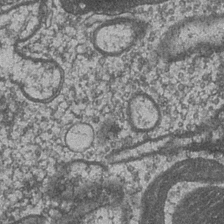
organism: Drosophila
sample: Optic medulla